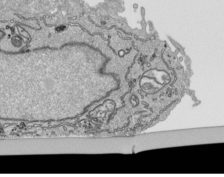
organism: Human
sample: Mitochondria in HCT116 cells